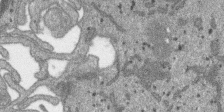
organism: Human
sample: Lung epithelial cells infected with SARS-CoV-2